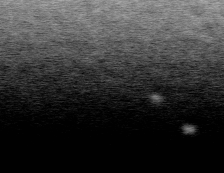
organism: Human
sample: HeLa cells